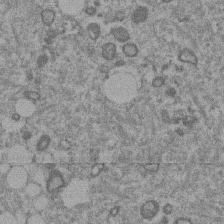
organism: Mouse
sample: Dividing mouse embryo 1 cell stage